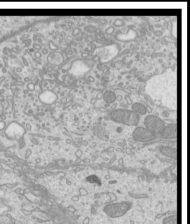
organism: Mouse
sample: Cilia; mouse epididymis